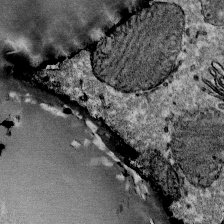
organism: Mouse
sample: Mouse Salivary gland